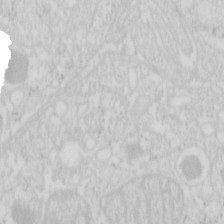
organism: Mouse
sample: Pancreas